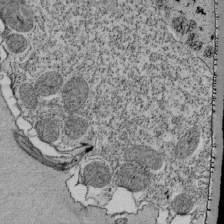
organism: Tetrahymena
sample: Cilia in tetrahymena